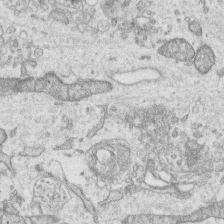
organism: Human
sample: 1205lu cells